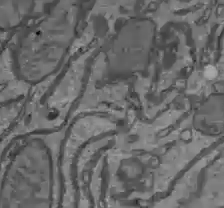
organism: C57BL Mouse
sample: Liver